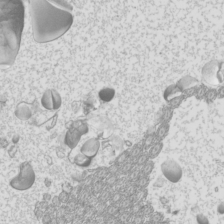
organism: Mouse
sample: Cilia; mouse epididymis